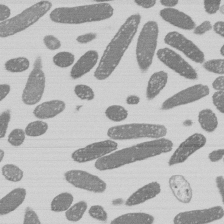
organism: E. coli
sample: Bacterial nucleoid